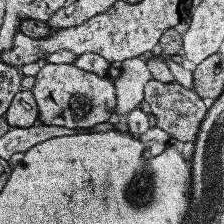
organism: Human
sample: Temporal Lobe